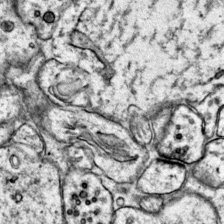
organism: Mouse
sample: Primary visual cortex